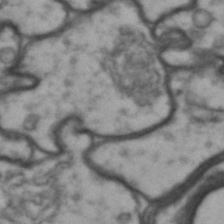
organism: Drosophila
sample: Brain